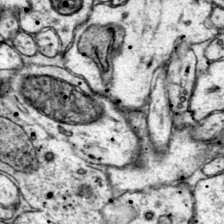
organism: Mouse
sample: Primary visual cortex